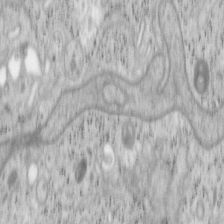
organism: Human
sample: HeLa cells